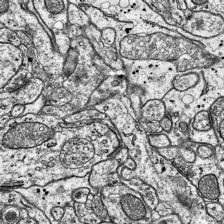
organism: Mouse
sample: Visual Cortex